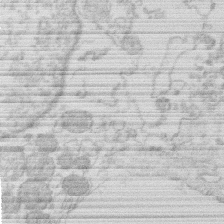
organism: Human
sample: Macrophage cells